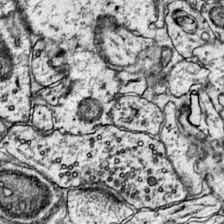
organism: Mouse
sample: Primary visual cortex